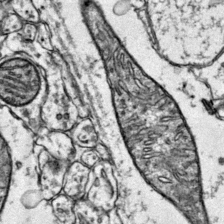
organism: Mouse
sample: Primary visual cortex